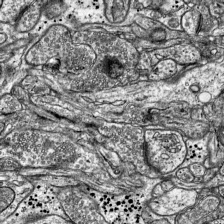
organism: Mouse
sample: Visual Cortex